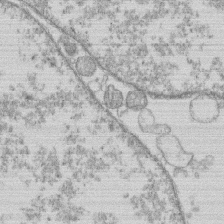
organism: Human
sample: Macrophage cells